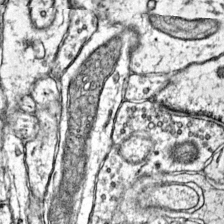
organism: Mouse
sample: Primary visual cortex